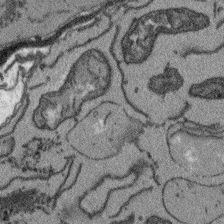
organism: Arabidopsis thaliana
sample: Root tip